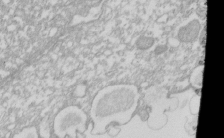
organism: Xenopus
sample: Cilia; centrioles in frog embryo cells